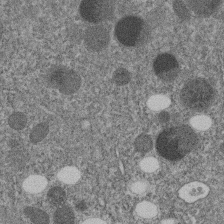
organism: C. elegans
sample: C. elegans embryo early stage